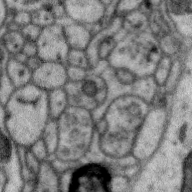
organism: Zebra finch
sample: Brain